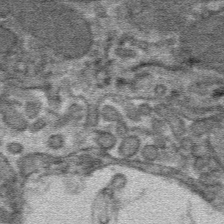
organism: Mouse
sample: Mouse hepatocytes